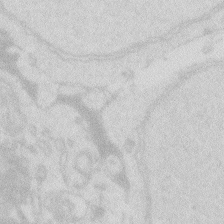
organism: Zebrafish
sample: Macrophage